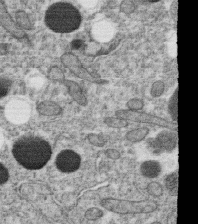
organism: C. elegans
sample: C. elegans oocyte; sperm cells